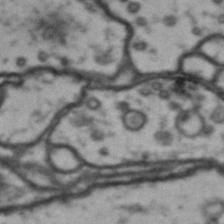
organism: Drosophila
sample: Brain